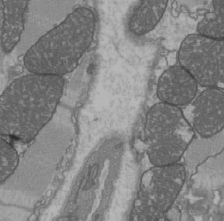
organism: C57BL Mouse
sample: Heart